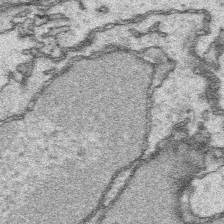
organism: Platynereis dumerilii